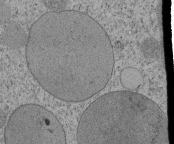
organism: Tetrahymena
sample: Cilia in tetrahymena